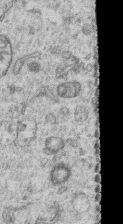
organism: Human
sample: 1205lu cells